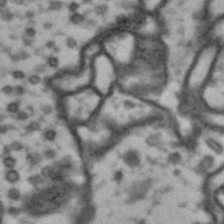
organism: Drosophila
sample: Brain